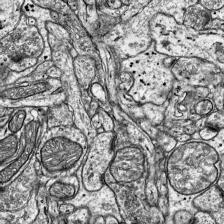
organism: Mouse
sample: Visual Cortex